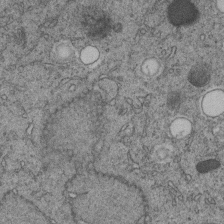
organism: C. elegans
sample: C. elegans embryo early stage